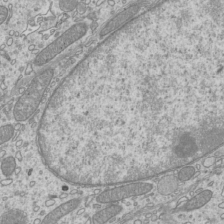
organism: Mouse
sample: Cilia; mouse epididymis